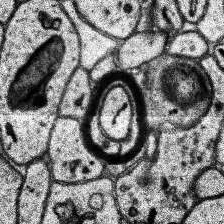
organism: Human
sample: Temporal Lobe